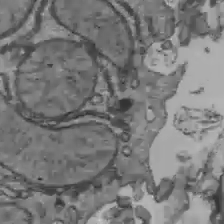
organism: C57BL Mouse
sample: Liver